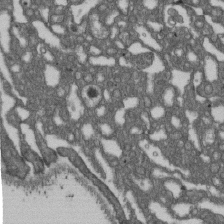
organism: Drosophila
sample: Nephrocyte